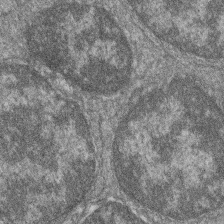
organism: Zebrafish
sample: Cilia; retinal pigment epithelium